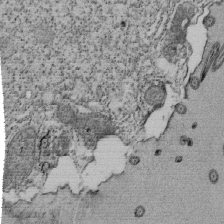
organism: Tetrahymena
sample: Cilia in tetrahymena